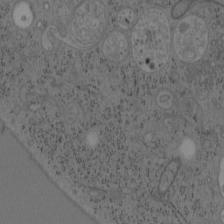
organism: Mouse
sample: OT-I killer T cells with ID8 ovarian cancer cells